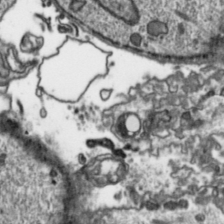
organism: Toxoplasma gondii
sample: Parasites in a vacuole inside a host cell